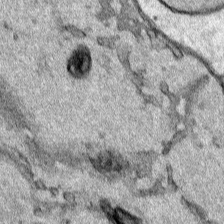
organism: Human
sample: Mitochondria in HCT116 cells